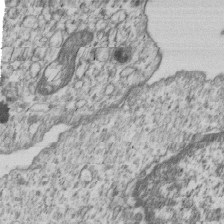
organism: Human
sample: MDA-MB-231 cells